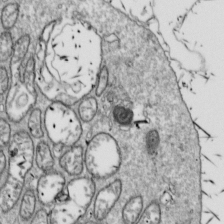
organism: Drosophila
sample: Cell division; meiosis; drosophila spermatocytes